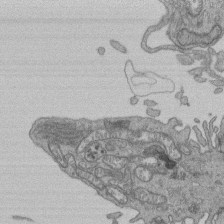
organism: Human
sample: Retinal organoid Rod and Cone cells